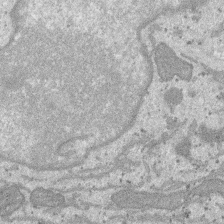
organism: Human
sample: Lung epithelial cells infected with SARS-CoV-2